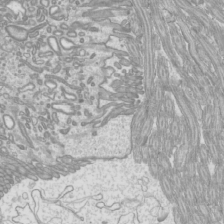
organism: Mouse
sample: Cilia; mouse epididymis